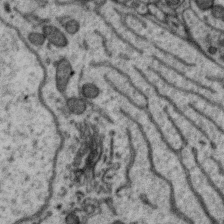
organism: Zebra finch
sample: Brain